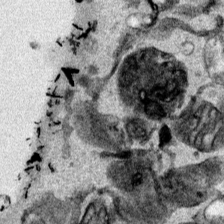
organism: Mouse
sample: Cancer cell death in ED-1 cells